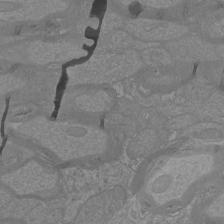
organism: Mouse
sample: Cortical neurons